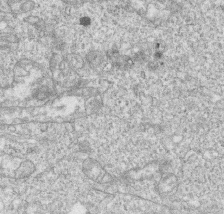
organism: Human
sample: HeLa cell HIV synapse